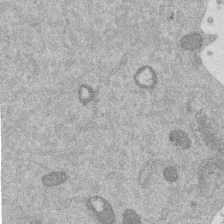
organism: Mouse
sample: Dividing mouse embryo 1 cell stage